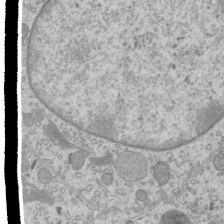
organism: Mouse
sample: Cilia; mouse epididymis